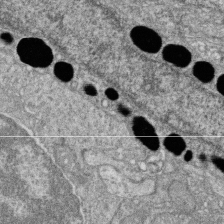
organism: Zebrafish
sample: Cilia; retinal pigment epithelium